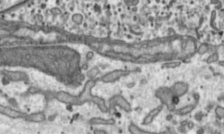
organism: Toxoplasma gondii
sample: Parasites in a vacuole inside a host cell